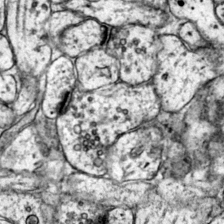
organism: Mouse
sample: Primary visual cortex